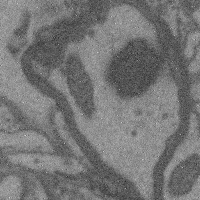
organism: Mouse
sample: Cerebral cortex